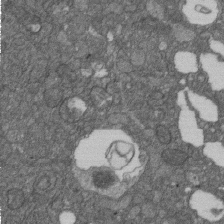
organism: Drosophila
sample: Nephrocyte